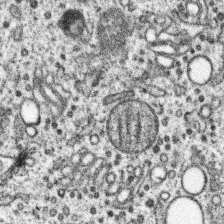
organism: Human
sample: HeLa cells